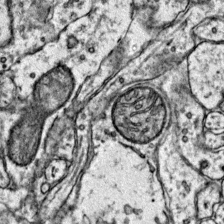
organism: Mouse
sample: Primary visual cortex